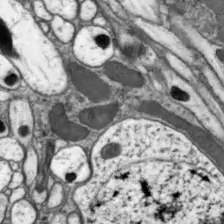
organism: Drosophila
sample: Optic lobe